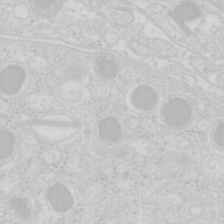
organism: Mouse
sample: Pancreas